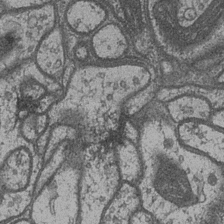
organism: Drosophila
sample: Optic medulla